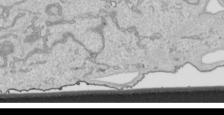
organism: Human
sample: Mitochondria in HCT116 cells